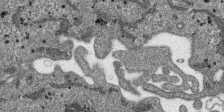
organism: Human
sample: Lung epithelial cells infected with SARS-CoV-2